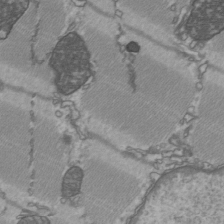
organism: C57BL Mouse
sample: Heart